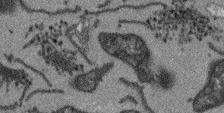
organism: Arabidopsis thaliana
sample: Root tip